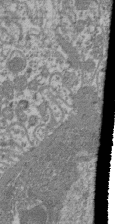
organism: Mouse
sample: Glomerulus